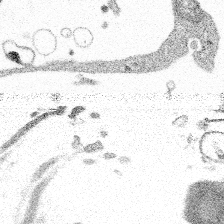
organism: Spongilla lacustris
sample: Multiple